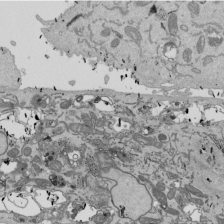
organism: Mouse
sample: ED-1 cell nuclei; centrioles